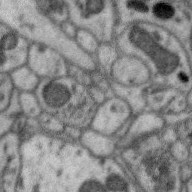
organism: Zebra finch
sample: Brain